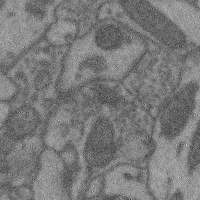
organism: Mouse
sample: Cerebral cortex